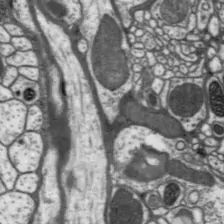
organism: Drosophila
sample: Protocerebral bridge